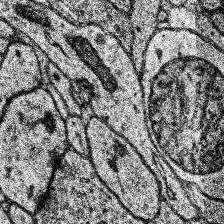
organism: Human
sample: Temporal Lobe